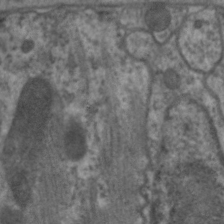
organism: C. elegans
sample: Pharynx